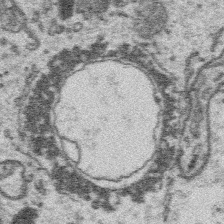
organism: Platynereis dumerilii